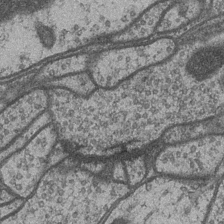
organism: Drosophila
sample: Optic medulla